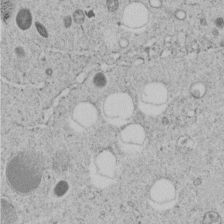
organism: C. elegans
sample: C. elegans embryo early stage